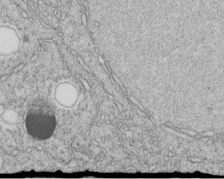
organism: C. elegans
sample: C. elegans embryo early stage